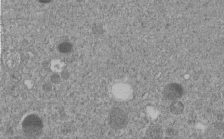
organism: C. elegans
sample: C. elegans embryo early stage